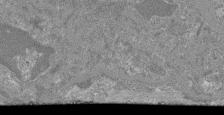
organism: Mouse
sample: Glomerulus